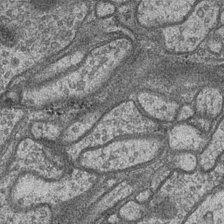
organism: Drosophila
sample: Optic medulla